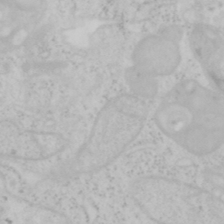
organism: Mouse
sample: OT-I killer T cells with ID8 ovarian cancer cells